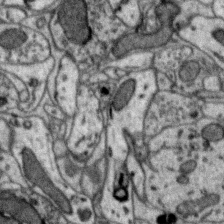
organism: Zebra finch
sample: Brain